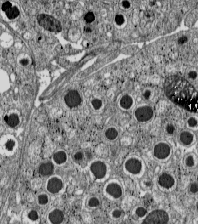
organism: C57BL Mouse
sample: Pancreatic islet